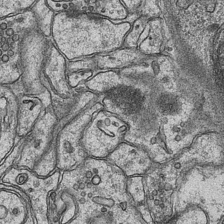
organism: Mouse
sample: CA1 Hippocampus